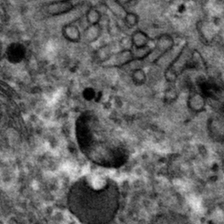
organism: Mouse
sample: Mouse hepatocytes